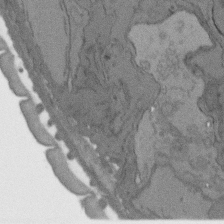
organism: C. elegans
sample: AFD neurons C. elegans